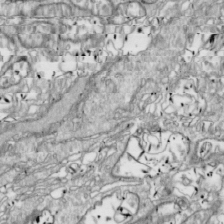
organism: Drosophila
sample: Cell division; meiosis; drosophila spermatocytes